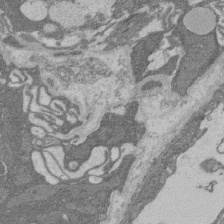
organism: Rat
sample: Salivary granule